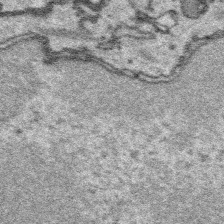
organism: Platynereis dumerilii